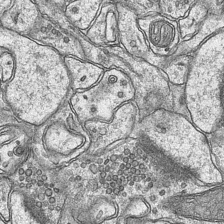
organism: Mouse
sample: CA1 Hippocampus